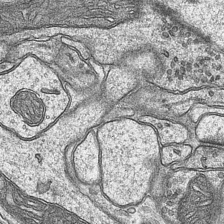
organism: Mouse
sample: CA1 Hippocampus